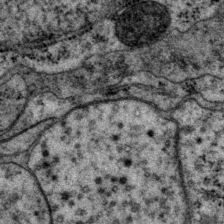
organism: P. pacificus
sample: Pharynx